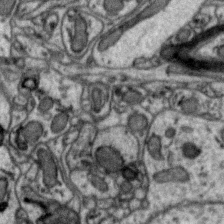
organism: Zebra finch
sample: Brain